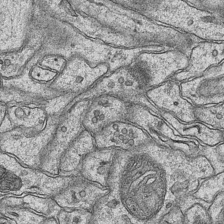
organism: Mouse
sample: CA1 Hippocampus